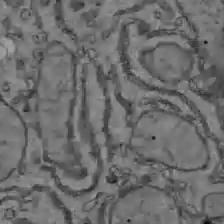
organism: C57BL Mouse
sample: Liver